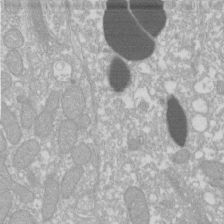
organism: Xenopus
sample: Cilia; centrioles in frog embryo cells